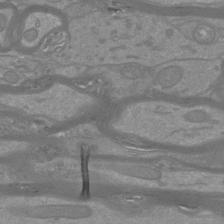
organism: Mouse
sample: Cortical neurons